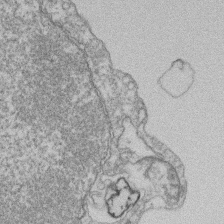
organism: Mouse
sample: T cell stromal cell synapse